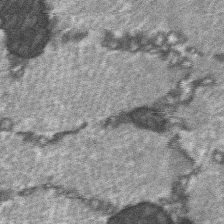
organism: C57BL Mouse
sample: Soleus